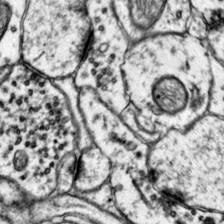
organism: Mouse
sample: Primary visual cortex